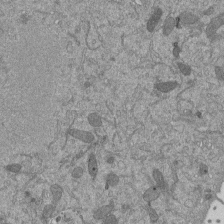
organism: Mouse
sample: ED-1 cell nuclei; centrioles